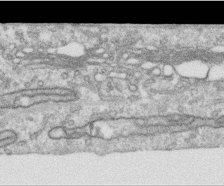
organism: Human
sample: Centriole in RPE cells